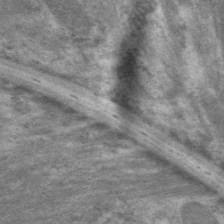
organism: C. elegans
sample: Pharynx